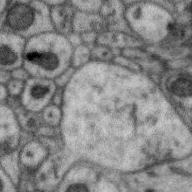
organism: Zebra finch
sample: Brain